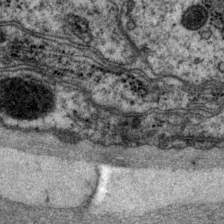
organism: P. pacificus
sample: Pharynx